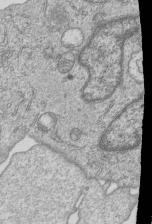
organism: Human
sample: MDA-MB-231 cells